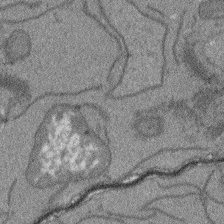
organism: Arabidopsis thaliana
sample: Root tip